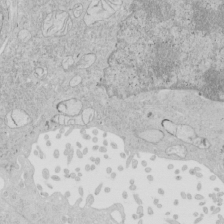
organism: Human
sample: Mitochondria in HCT116 cells